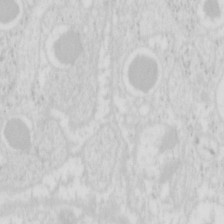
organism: Mouse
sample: Pancreas